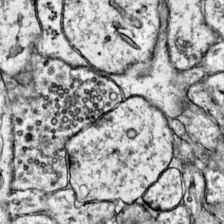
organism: Mouse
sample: Primary visual cortex